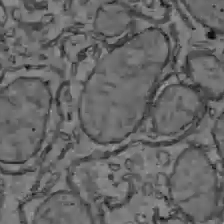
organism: C57BL Mouse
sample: Liver